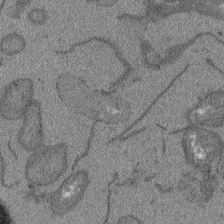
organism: Arabidopsis thaliana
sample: Root tip